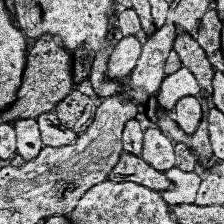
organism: Human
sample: Temporal Lobe